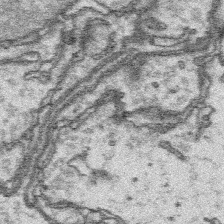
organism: Platynereis dumerilii